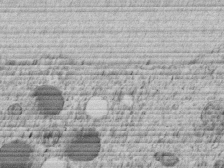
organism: C. elegans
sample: C. elegans embryo early stage